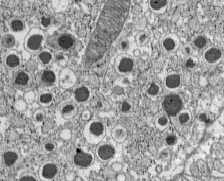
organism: C57BL Mouse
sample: Pancreatic islet